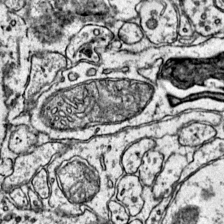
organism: Mouse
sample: Primary visual cortex